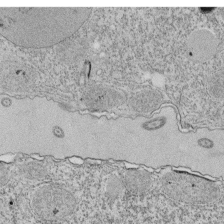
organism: Tetrahymena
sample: Cilia in tetrahymena